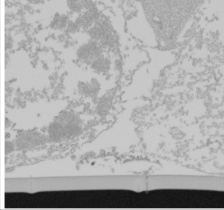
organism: Mouse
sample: Cancer cell death in ED-1 cells